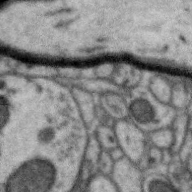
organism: Zebra finch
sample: Brain